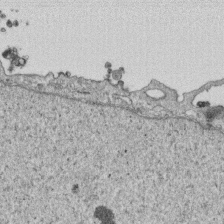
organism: Human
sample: HeLa cell HIV synapse